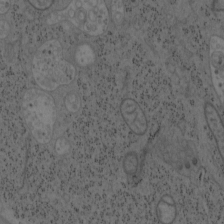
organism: Mouse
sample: OT-I killer T cells with ID8 ovarian cancer cells